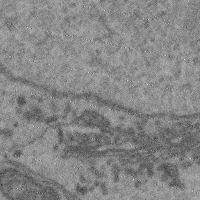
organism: Mouse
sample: Cerebral cortex